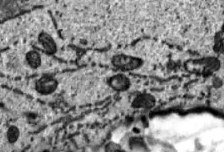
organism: Human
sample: HeLa cells